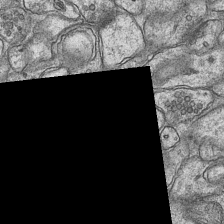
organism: Mouse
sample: CA1 Hippocampus